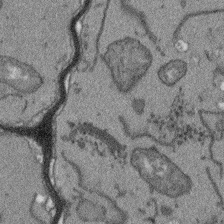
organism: Arabidopsis thaliana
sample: Root tip